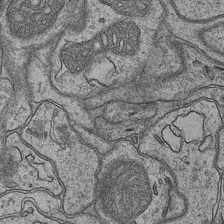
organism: Mouse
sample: CA1 Hippocampus